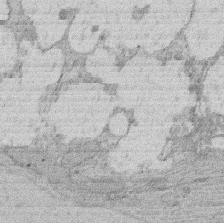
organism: Rat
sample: Salivary granule